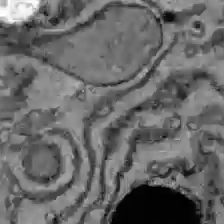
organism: C57BL Mouse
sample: Liver